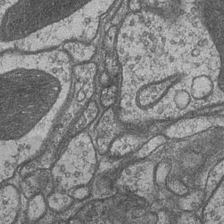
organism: Drosophila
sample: Optic medulla